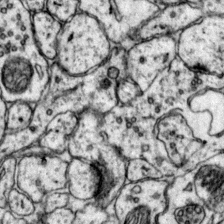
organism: Mouse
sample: Primary visual cortex